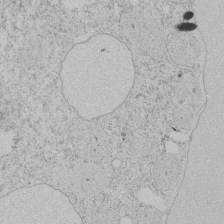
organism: Tetrahymena